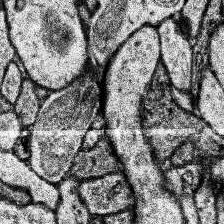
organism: Human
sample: Temporal Lobe